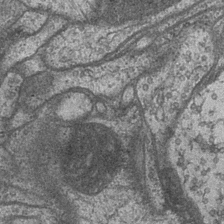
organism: Drosophila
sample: Optic medulla